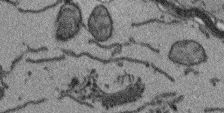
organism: Arabidopsis thaliana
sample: Root tip